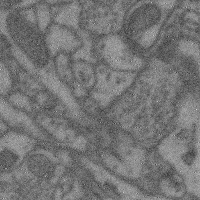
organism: Mouse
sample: Cerebral cortex